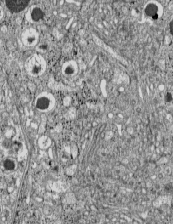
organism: C57BL Mouse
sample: Pancreatic islet